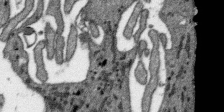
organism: Human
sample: Lung epithelial cells, uninfected (mock) control